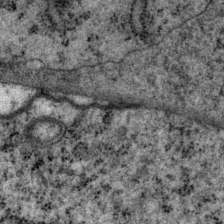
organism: P. pacificus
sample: Pharynx